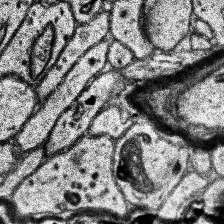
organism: Human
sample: Temporal Lobe